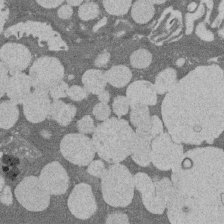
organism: Rat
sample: Salivary granule